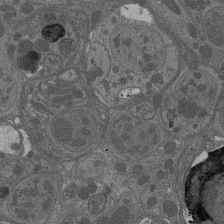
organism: Drosophila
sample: Antenna